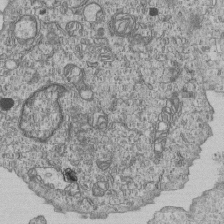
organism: Human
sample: MDA-MB-231 cells